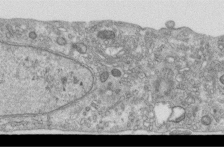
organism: Human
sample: Centriole in RPE cells